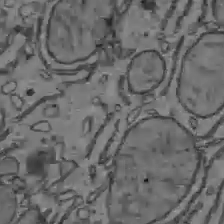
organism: C57BL Mouse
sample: Liver